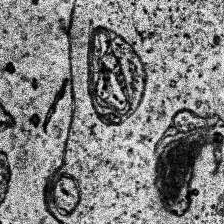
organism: Human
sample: Temporal Lobe